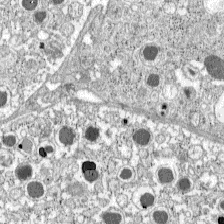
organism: C57BL Mouse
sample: Pancreatic islet